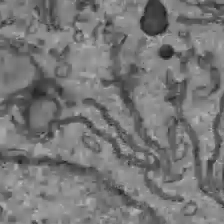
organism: C57BL Mouse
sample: Liver